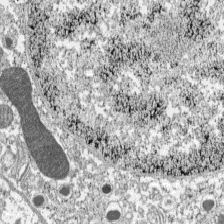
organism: C57BL Mouse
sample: Pancreatic islet